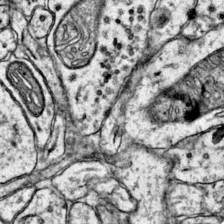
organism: Mouse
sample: Primary visual cortex